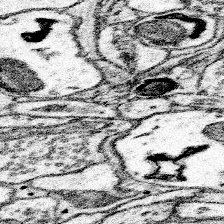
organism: Mouse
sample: Somatosensory cortex neuropil